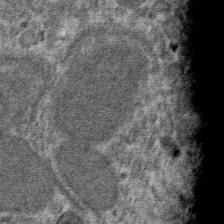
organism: Mouse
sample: Mouse hepatocytes